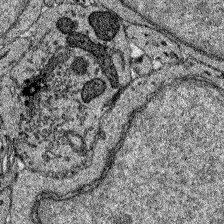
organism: Zebrafish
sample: Larval olfactory bulb